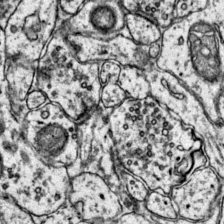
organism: Mouse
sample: Primary visual cortex